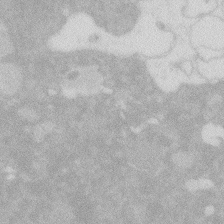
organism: Zebrafish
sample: Macrophage